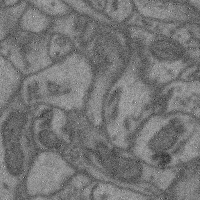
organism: Mouse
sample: Cerebral cortex